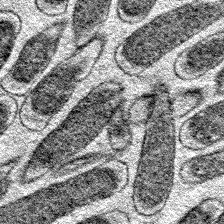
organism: E. coli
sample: E. Coli Bacteria